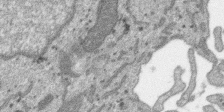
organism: Human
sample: Lung epithelial cells infected with SARS-CoV-2